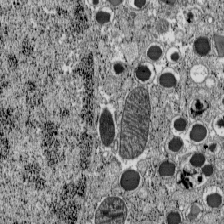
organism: C57BL Mouse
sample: Pancreatic islet